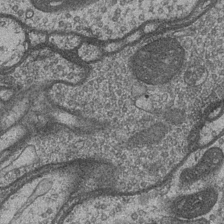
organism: Drosophila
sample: Optic medulla